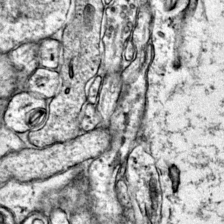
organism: Mouse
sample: Primary visual cortex